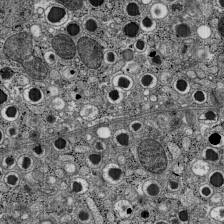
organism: C57BL Mouse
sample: Pancreatic islet